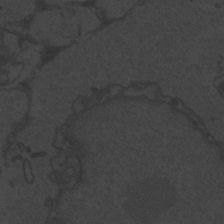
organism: Zebrafish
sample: Macrophage infected with Toxoplasma gondii